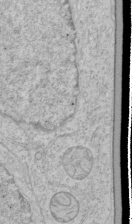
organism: Human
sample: Mitochondria in HCT116 cells